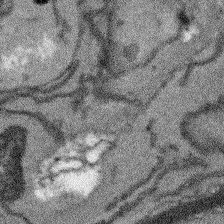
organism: Arabidopsis thaliana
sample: Root tip